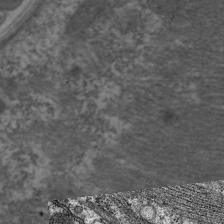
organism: C. elegans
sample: Pharynx